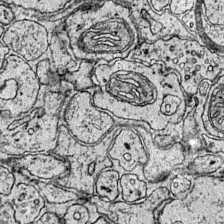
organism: Mouse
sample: Primary visual cortex